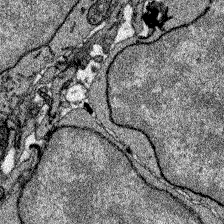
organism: Zebrafish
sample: Larval olfactory bulb